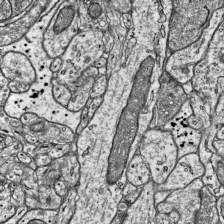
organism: Mouse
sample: Visual Cortex